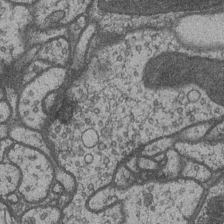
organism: Drosophila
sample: Optic medulla